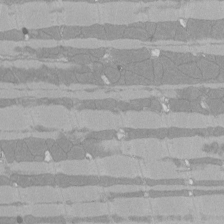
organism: Rat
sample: Left ventricle